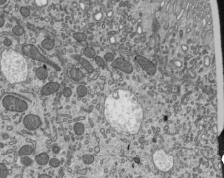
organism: Mouse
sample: Mouse epididymis efferent ductule cilia